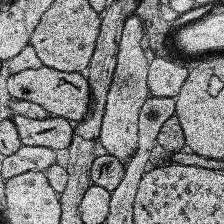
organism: Human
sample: Temporal Lobe